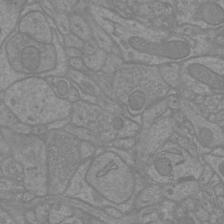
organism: Mouse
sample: Cortical neurons